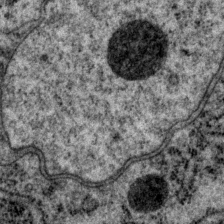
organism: P. pacificus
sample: Pharynx